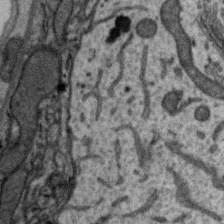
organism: Zebra finch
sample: Brain